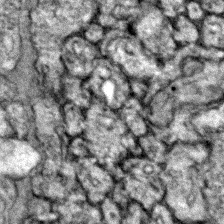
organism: Zebrafish